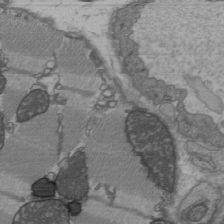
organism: C57BL Mouse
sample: Heart